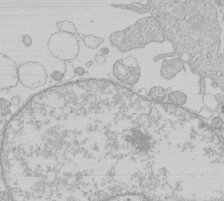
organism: Human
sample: Macrophage cells